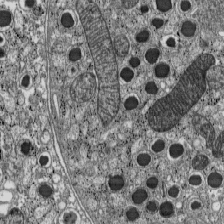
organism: C57BL Mouse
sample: Pancreatic islet